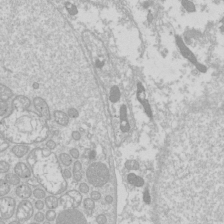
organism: Drosophila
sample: Cell division; meiosis; drosophila spermatocytes